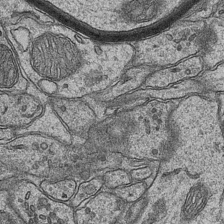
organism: Mouse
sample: CA1 Hippocampus